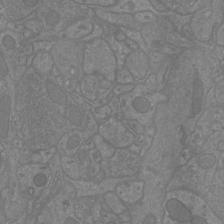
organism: Mouse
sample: Cortical neurons